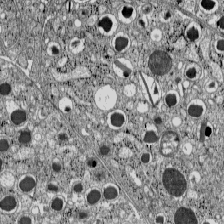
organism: C57BL Mouse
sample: Pancreatic islet